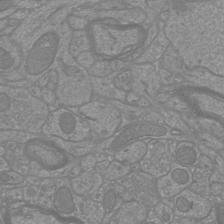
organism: Mouse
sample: Cortical neurons